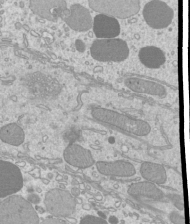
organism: Mouse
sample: Cilia; mouse epididymis